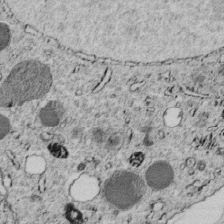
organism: C. elegans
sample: C. elegans embryo early stage